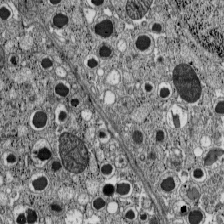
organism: C57BL Mouse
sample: Pancreatic islet